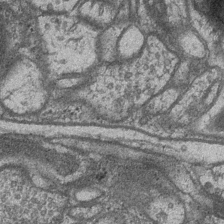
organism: Drosophila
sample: Optic medulla